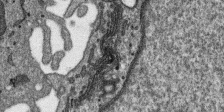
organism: Human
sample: Lung epithelial cells infected with SARS-CoV-2